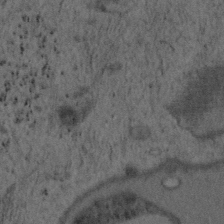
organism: Human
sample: HeLa cells